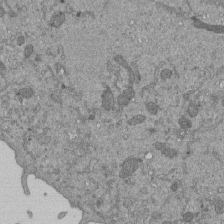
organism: Mouse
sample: ED-1 cell nuclei; centrioles